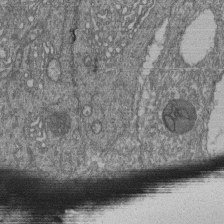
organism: Human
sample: Retinal organoid Rod and Cone cells